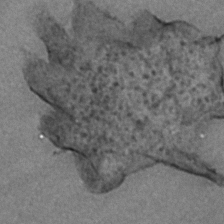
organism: E. coli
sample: E. Coli Bacteria